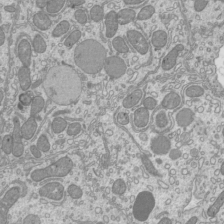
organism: Mouse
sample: Cilia; mouse epididymis